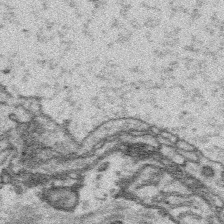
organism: Platynereis dumerilii